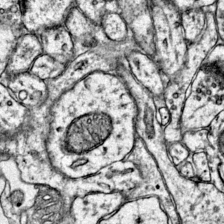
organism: Mouse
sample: Primary visual cortex